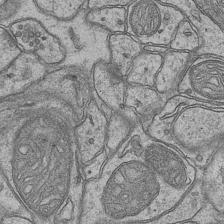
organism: Mouse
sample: CA1 Hippocampus